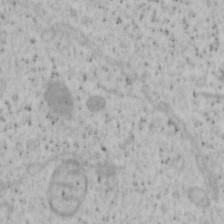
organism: Human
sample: HeLa cells